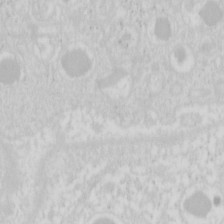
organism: Mouse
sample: Pancreas